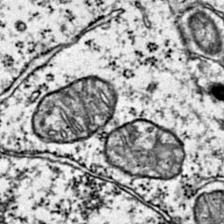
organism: Mouse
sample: Primary visual cortex